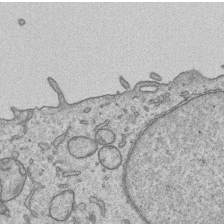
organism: Human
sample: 1205lu cells